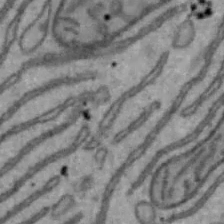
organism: Mouse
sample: Liver